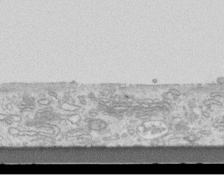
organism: Mouse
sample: Centriole in ependymal cells